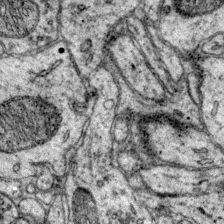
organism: Mouse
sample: Primary visual cortex